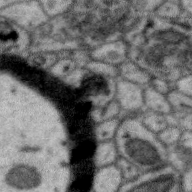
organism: Zebra finch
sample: Brain